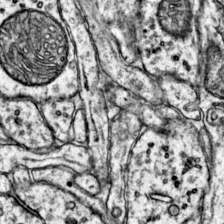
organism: Mouse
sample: Primary visual cortex